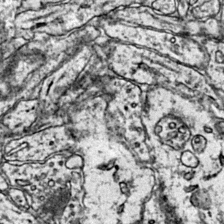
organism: Mouse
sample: Primary visual cortex